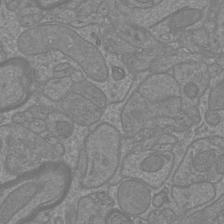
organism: Mouse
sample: Cortical neurons